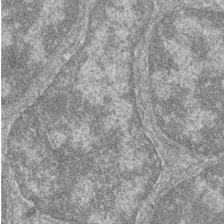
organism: Zebrafish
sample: Cilia; retinal pigment epithelium